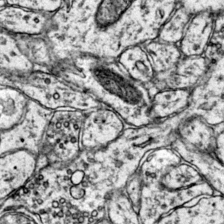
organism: Mouse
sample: Primary visual cortex